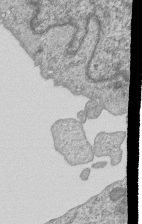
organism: Human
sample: MDA-MB-231 cells